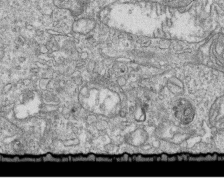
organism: Human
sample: HeLa cell HIV synapse